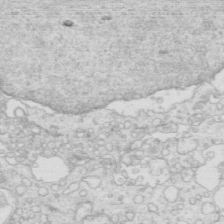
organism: Mouse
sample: Multiciliated cells